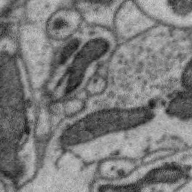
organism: Zebra finch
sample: Brain